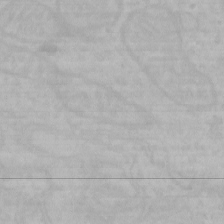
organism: Mouse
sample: Choroid plexus